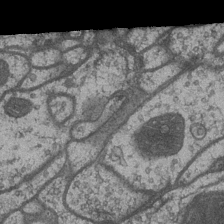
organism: Drosophila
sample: Optic medulla